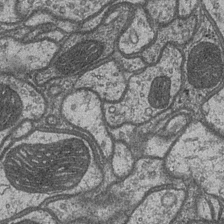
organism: Drosophila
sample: Optic medulla